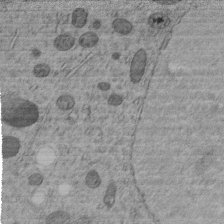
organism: C. elegans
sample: C. elegans embryo early stage